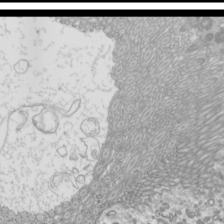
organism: Mouse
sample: Cilia; mouse epididymis